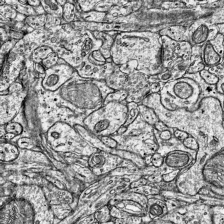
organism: Mouse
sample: Visual Cortex